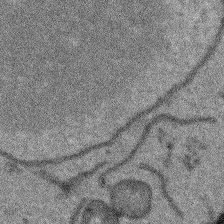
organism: Arabidopsis thaliana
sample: Root tip